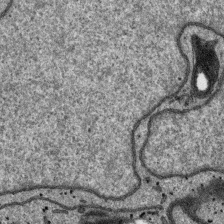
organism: Human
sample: Lung epithelial cells, uninfected (mock) control